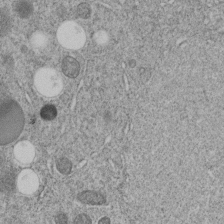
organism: C. elegans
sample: C. elegans embryo early stage